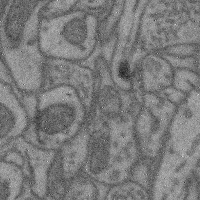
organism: Mouse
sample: Cerebral cortex